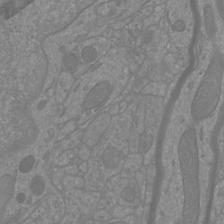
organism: Mouse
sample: Cortical neurons